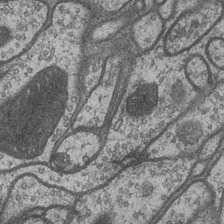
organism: Drosophila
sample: Optic medulla